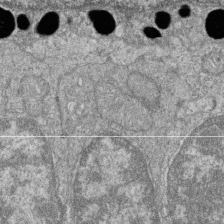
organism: Zebrafish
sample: Cilia; retinal pigment epithelium